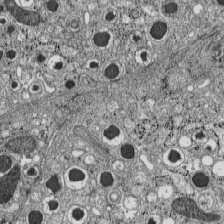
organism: C57BL Mouse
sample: Pancreatic islet